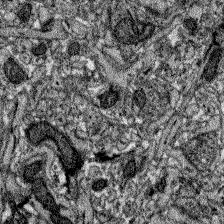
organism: Zebrafish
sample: Larval olfactory bulb